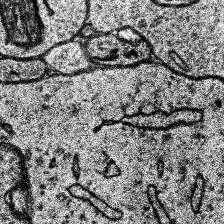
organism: Human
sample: Temporal Lobe